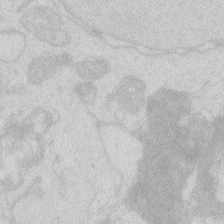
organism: Zebrafish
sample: Macrophage